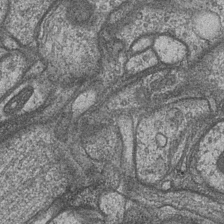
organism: Drosophila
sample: Optic medulla